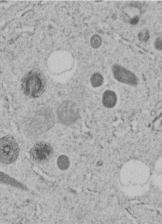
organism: C. elegans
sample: C. elegans embryo early stage